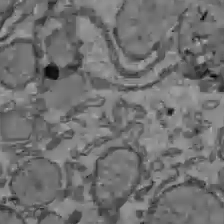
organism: C57BL Mouse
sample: Liver